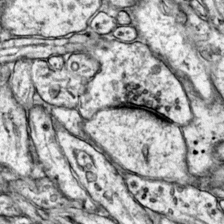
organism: Mouse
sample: Primary visual cortex